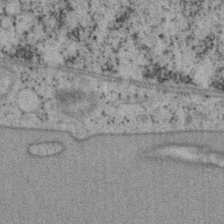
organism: Human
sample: HeLa cells